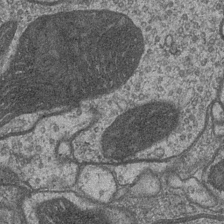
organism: Drosophila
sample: Optic medulla